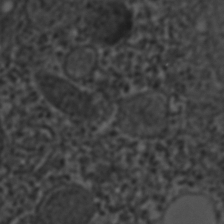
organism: C. elegans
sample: C. elegans embryo